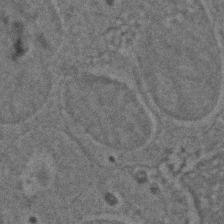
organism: Zebrafish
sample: Zebrafish embryo